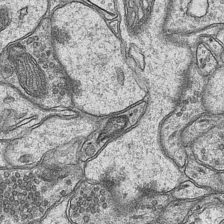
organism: Mouse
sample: CA1 Hippocampus